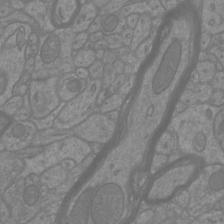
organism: Mouse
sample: Cortical neurons